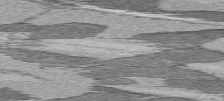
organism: C57BL Mouse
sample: Heart